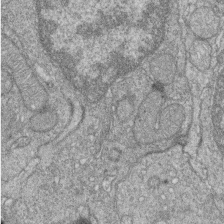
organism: Zebrafish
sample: Cilia; retinal pigment epithelium